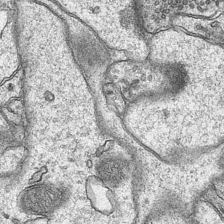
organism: Mouse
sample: CA1 Hippocampus